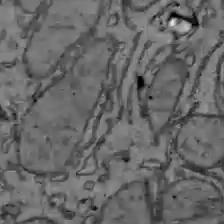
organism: C57BL Mouse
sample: Liver